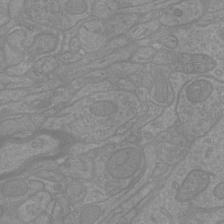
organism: Mouse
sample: Cortical neurons